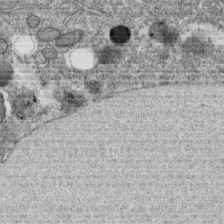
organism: C. elegans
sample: C. elegans oocyte; sperm cells